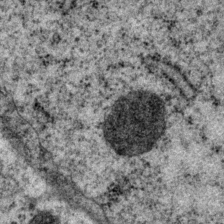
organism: P. pacificus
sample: Pharynx